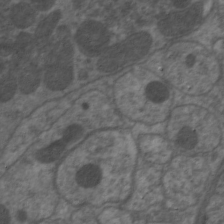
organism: C. elegans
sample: Pharynx